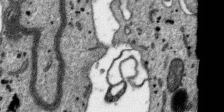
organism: Human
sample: Lung epithelial cells, uninfected (mock) control